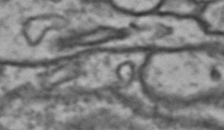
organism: Drosophila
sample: Brain